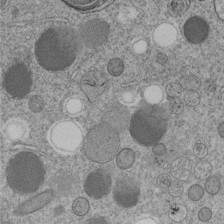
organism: C. elegans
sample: C. elegans embryo early stage